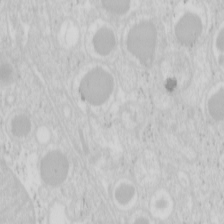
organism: Mouse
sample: Pancreas